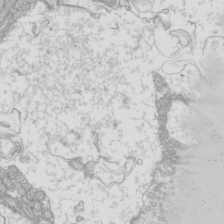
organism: Mouse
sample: Cilia; mouse epididymis